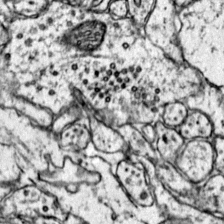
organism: Mouse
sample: Primary visual cortex